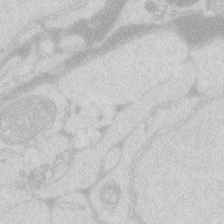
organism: Zebrafish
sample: Macrophage